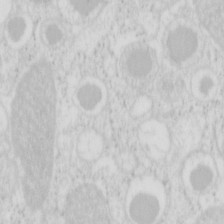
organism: Mouse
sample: Pancreas